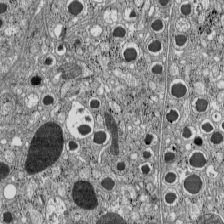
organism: C57BL Mouse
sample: Pancreatic islet